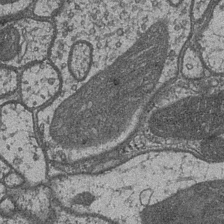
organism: Drosophila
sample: Optic medulla